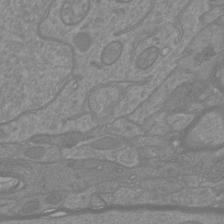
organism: Mouse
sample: Cortical neurons